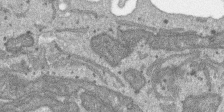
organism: Human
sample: Lung epithelial cells infected with SARS-CoV-2